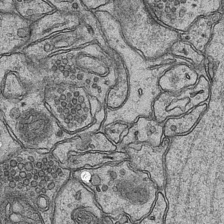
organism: Mouse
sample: CA1 Hippocampus